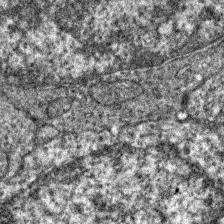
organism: Zebrafish